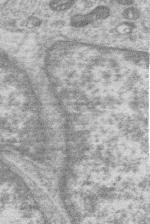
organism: Human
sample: Macrophage cells